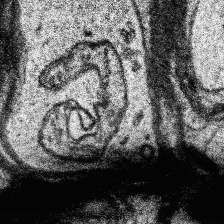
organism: Human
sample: Temporal Lobe